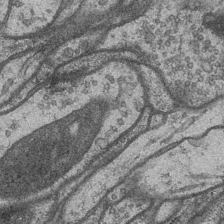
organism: Drosophila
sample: Optic medulla